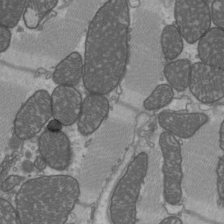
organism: C57BL Mouse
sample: Heart